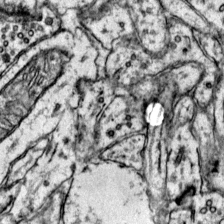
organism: Mouse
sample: Primary visual cortex